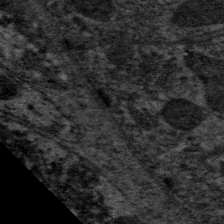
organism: C. elegans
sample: Pharynx